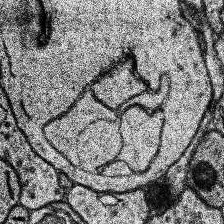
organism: Human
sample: Temporal Lobe